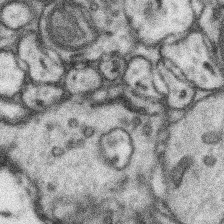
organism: Mouse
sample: Somatosensory cortex neuropil